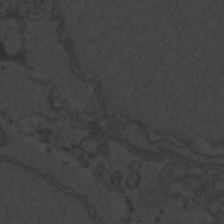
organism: Zebrafish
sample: Macrophage infected with Toxoplasma gondii